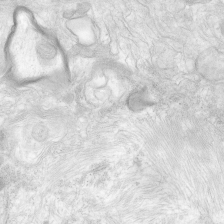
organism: Human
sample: Neocortex